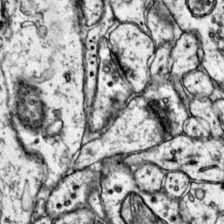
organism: Mouse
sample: Primary visual cortex